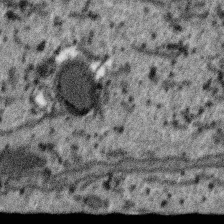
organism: Human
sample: Lung epithelial cells infected with SARS-CoV-2